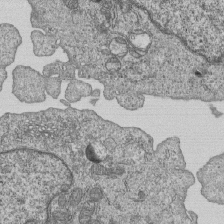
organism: Human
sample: MDA-MB-231 cells